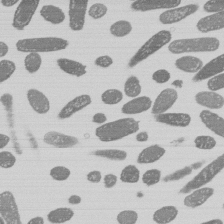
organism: E. coli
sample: Bacterial nucleoid